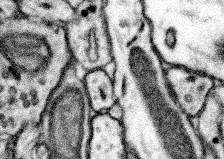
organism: Mouse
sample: Somatosensory cortex neuropil